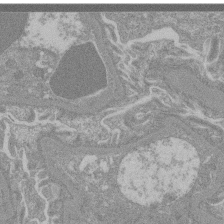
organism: Mouse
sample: Glomerulus